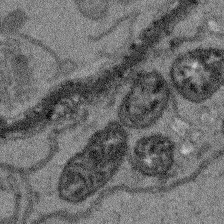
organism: Arabidopsis thaliana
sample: Root tip